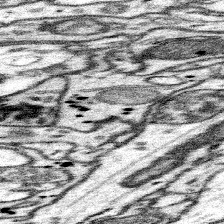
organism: Mouse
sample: Somatosensory cortex neuropil